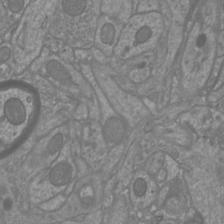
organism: Mouse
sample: Cortical neurons